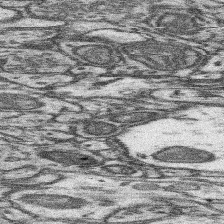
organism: Mouse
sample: Somatosensory cortex neuropil